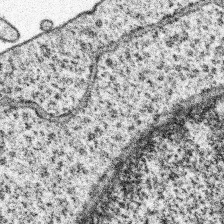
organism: Human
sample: HeLa cells